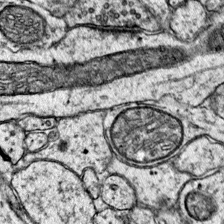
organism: Mouse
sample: Primary visual cortex